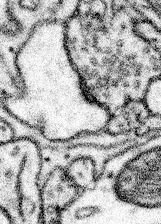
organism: Mouse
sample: Somatosensory cortex neuropil